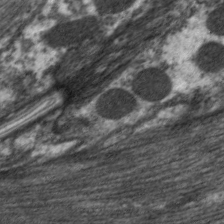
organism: C. elegans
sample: Pharynx